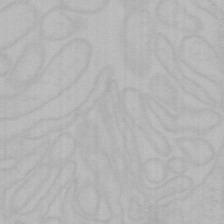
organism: Mouse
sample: Choroid plexus